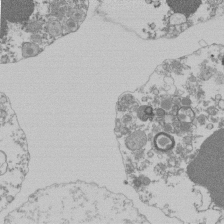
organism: Mouse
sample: Activated Pmel transgenic CD8+ T Cells